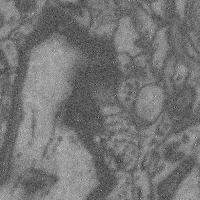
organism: Mouse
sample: Cerebral cortex